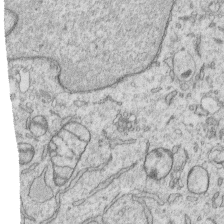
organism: Human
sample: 1205lu cells